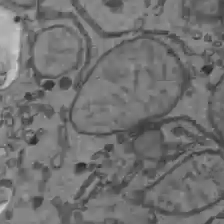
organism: C57BL Mouse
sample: Liver